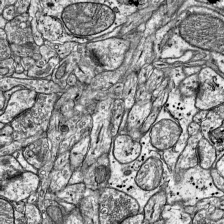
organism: Mouse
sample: Visual Cortex